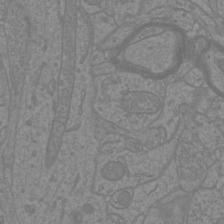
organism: Mouse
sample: Cortical neurons